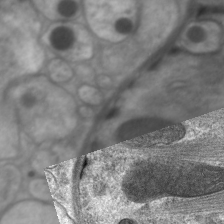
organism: C. elegans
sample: Pharynx